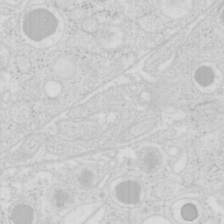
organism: Mouse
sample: Pancreas